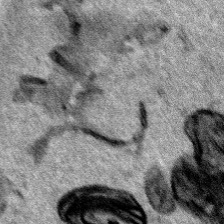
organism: Human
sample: Mitochondria in HCT116 cells